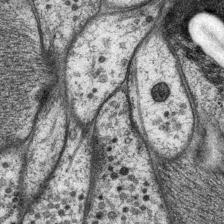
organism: P. pacificus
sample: Pharynx